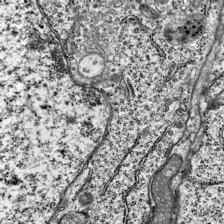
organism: Mouse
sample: Visual Cortex